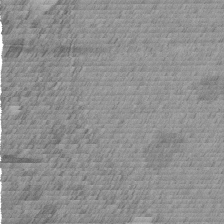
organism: C. elegans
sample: C. elegans embryo early stage